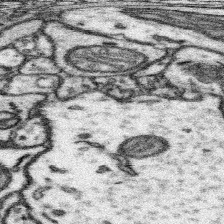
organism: Mouse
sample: Somatosensory cortex neuropil